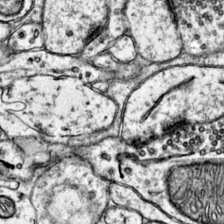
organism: Mouse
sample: Primary visual cortex